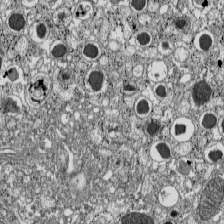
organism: C57BL Mouse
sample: Pancreatic islet